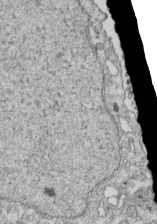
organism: Human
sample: HeLa cell HIV synapse